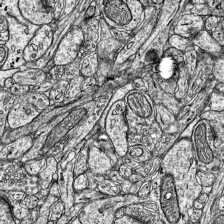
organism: Mouse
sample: Visual Cortex